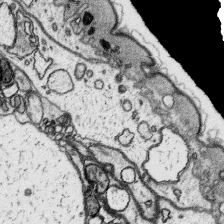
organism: Platynereis dumerilii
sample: Parapodia